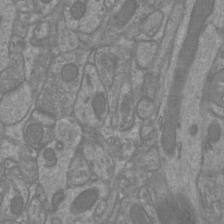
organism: Mouse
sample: Cortical neurons